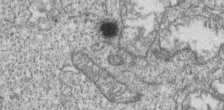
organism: Human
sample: HeLa cell HIV synapse